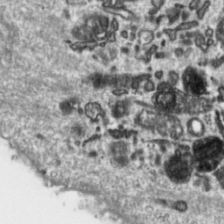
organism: Toxoplasma gondii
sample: Parasites in a vacuole inside a host cell